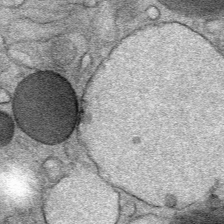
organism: Mouse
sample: Mouse Salivary gland